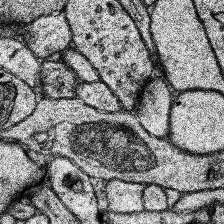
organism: Human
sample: Temporal Lobe